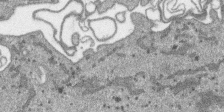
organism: Human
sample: Lung epithelial cells infected with SARS-CoV-2